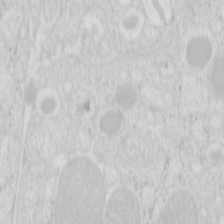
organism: Mouse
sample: Pancreas